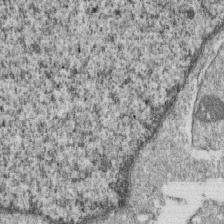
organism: African green monkey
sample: Vero E6 cells infected with SARS-CoV-2